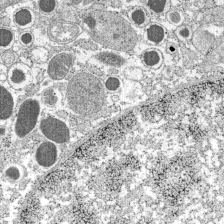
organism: C57BL Mouse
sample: Pancreatic islet